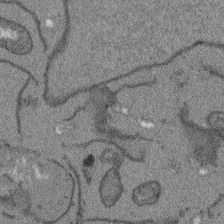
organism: Arabidopsis thaliana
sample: Root tip